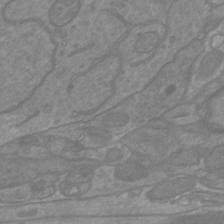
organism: Mouse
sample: Cortical neurons